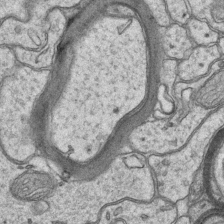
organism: Mouse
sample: CA1 Hippocampus